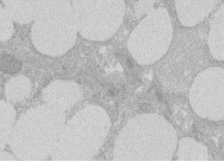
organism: Rat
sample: Salivary granule